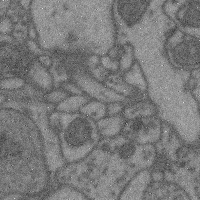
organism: Mouse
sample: Cerebral cortex